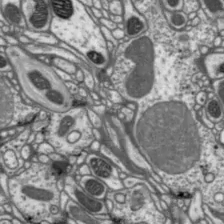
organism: Drosophila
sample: Protocerebral bridge